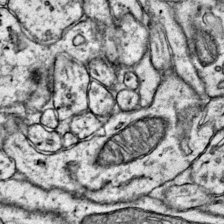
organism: Mouse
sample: Primary visual cortex